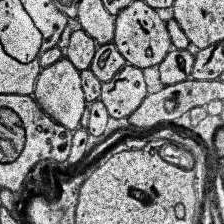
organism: Human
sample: Temporal Lobe